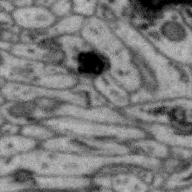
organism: Zebra finch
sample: Brain